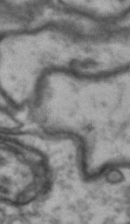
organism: Drosophila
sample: Brain